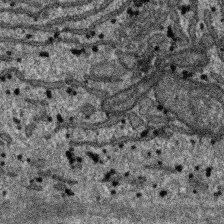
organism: Human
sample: Lung epithelial cells infected with SARS-CoV-2